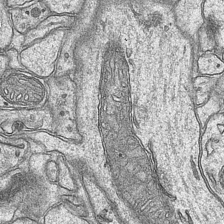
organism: Mouse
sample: CA1 Hippocampus